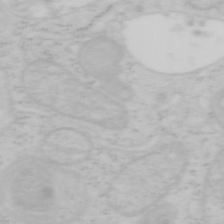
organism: Mouse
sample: OT-I killer T cells with ID8 ovarian cancer cells